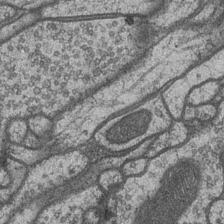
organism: Drosophila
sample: Optic medulla